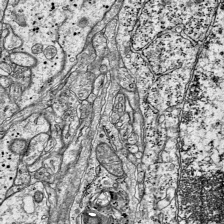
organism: Mouse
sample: Visual Cortex